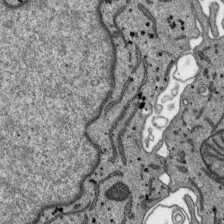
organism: Human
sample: Lung epithelial cells, uninfected (mock) control